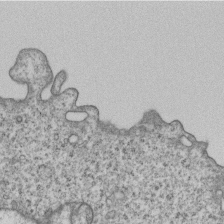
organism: Human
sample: MDA-MB-231 cells